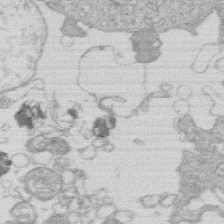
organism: Human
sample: Macrophage cells